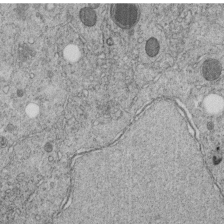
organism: C. elegans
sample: C. elegans embryo early stage